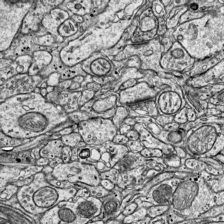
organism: Mouse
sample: Visual Cortex